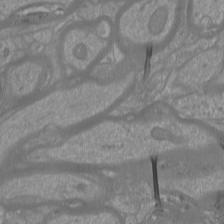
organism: Mouse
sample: Cortical neurons